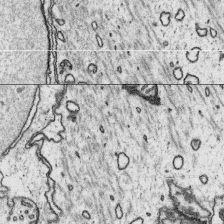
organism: Platynereis dumerilii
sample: Parapodia